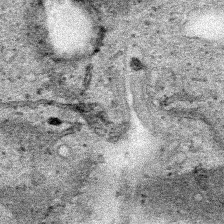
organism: Human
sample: Mitochondria in HCT116 cells